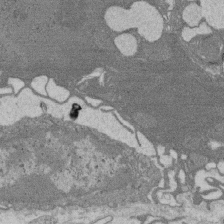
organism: Rat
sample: Salivary granule